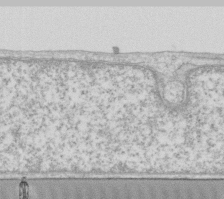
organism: Human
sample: Fibroblast cells